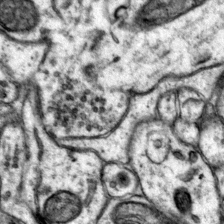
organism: Mouse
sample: Primary visual cortex